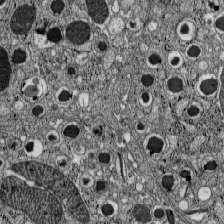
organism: C57BL Mouse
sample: Pancreatic islet